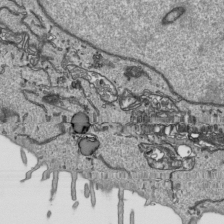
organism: Human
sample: Mitochondria in HCT116 cells